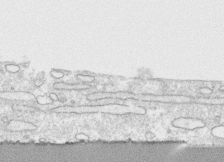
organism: Human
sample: CRL-1474